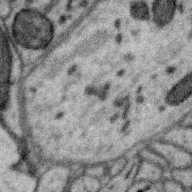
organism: Zebra finch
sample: Brain